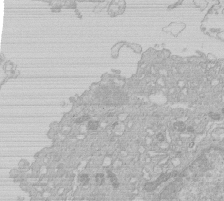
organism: Human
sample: Macrophage cells